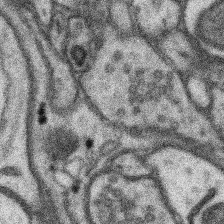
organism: Mouse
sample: Somatosensory cortex neuropil